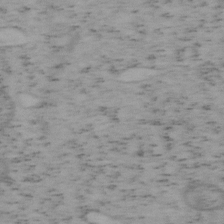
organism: Mouse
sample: OT-I killer T cells with ID8 ovarian cancer cells